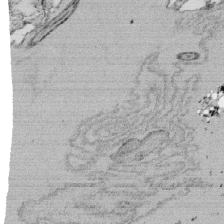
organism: Tetrahymena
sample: Cilia in tetrahymena